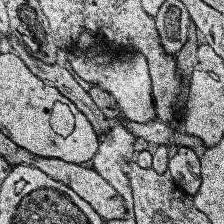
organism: Human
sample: Temporal Lobe